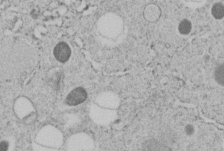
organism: C. elegans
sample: C. elegans embryo early stage